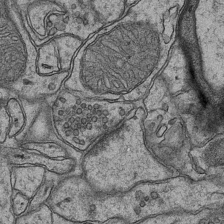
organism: Mouse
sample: CA1 Hippocampus